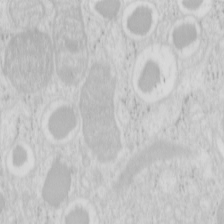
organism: Mouse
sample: Pancreas